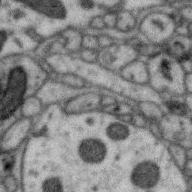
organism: Zebra finch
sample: Brain